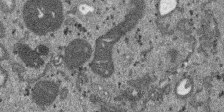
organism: Human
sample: Lung epithelial cells infected with SARS-CoV-2